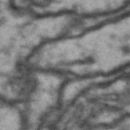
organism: Drosophila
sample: Brain